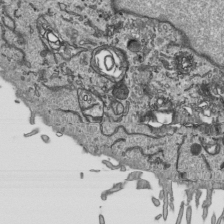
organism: Human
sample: Mitochondria in HCT116 cells